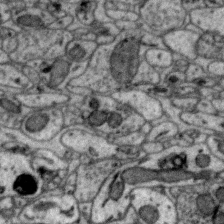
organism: Zebra finch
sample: Brain